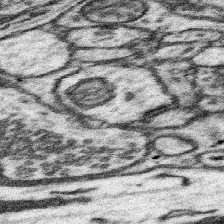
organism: Mouse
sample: Somatosensory cortex neuropil